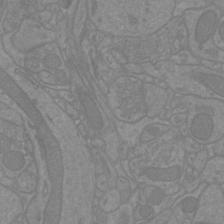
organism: Mouse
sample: Cortical neurons